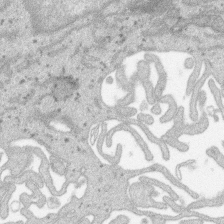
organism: Human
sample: Lung epithelial cells infected with SARS-CoV-2